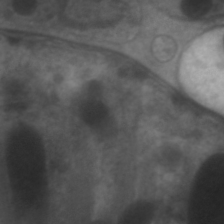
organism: C. elegans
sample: Pharynx